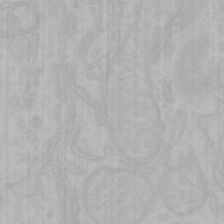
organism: Mouse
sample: Choroid plexus